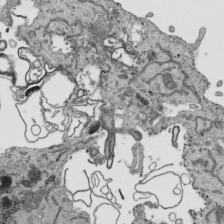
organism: Human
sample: Mitochondria in HCT116 cells